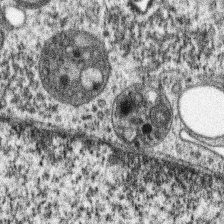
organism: Human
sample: HeLa cells